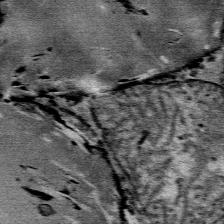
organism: Mouse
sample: Mouse Salivary gland